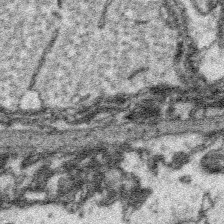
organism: Platynereis dumerilii